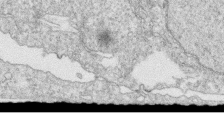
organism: Human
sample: HeLa cell HIV synapse